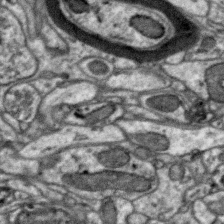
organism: Zebra finch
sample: Brain